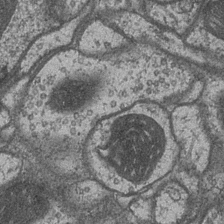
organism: Drosophila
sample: Optic medulla